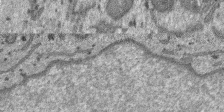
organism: Human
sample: Lung epithelial cells infected with SARS-CoV-2